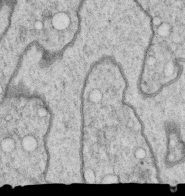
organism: C. elegans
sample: C. elegans oocyte; sperm cells